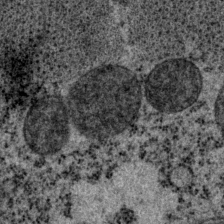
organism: P. pacificus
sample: Pharynx